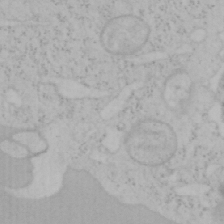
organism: Mouse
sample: OT-I killer T cells with ID8 ovarian cancer cells